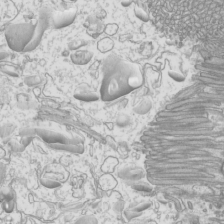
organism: Mouse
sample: Cilia; mouse epididymis